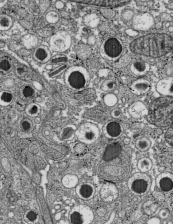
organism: C57BL Mouse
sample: Pancreatic islet